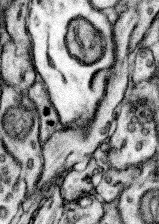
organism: Mouse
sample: Somatosensory cortex neuropil